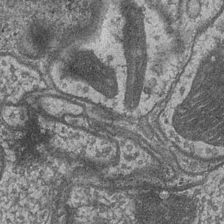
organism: Drosophila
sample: Optic medulla